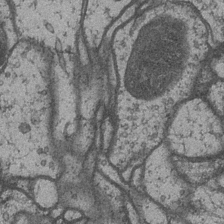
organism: Drosophila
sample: Optic medulla